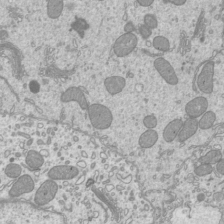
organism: Mouse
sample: Cilia; mouse epididymis